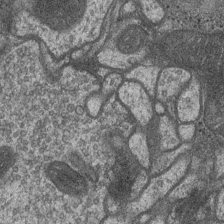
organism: Drosophila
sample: Optic medulla